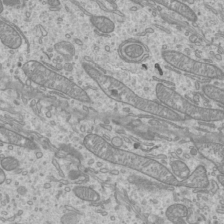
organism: Mouse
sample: Cilia; mouse epididymis